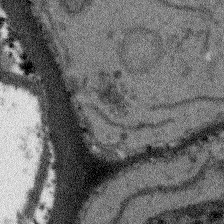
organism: Arabidopsis thaliana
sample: Root tip